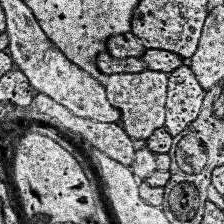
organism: Human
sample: Temporal Lobe